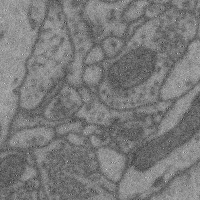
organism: Mouse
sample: Cerebral cortex